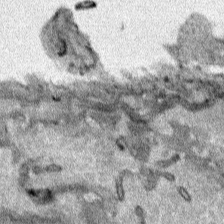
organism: Human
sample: Mitochondria in HCT116 cells